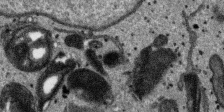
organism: Human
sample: Lung epithelial cells, uninfected (mock) control